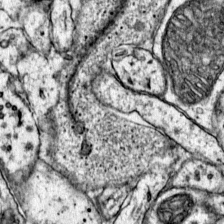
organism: Mouse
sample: Primary visual cortex